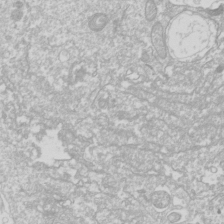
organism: Drosophila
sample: Cell division; meiosis; drosophila spermatocytes